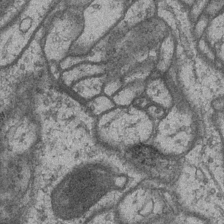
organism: Drosophila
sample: Optic medulla